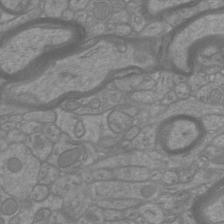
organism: Mouse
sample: Cortical neurons